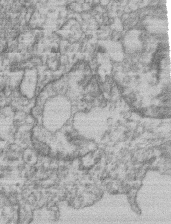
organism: Mouse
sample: T cell stromal cell synapse